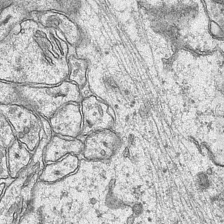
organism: Mouse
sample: CA1 Hippocampus